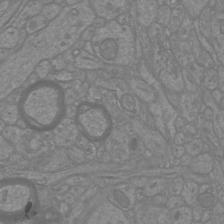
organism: Mouse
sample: Cortical neurons